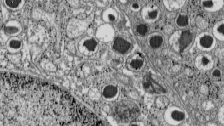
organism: C57BL Mouse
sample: Pancreatic islet